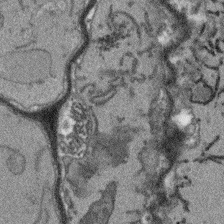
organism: Arabidopsis thaliana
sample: Root tip